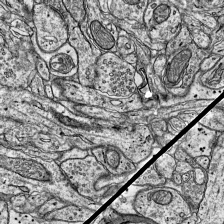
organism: Mouse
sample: Visual Cortex